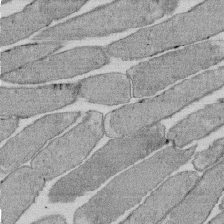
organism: E. coli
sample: Bacterial nucleoid